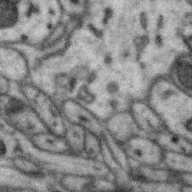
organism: Zebra finch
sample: Brain